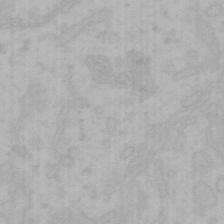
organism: Mouse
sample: Choroid plexus